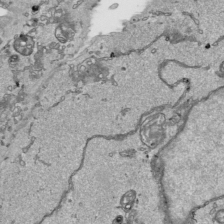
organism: Human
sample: Mitochondria in HCT116 cells